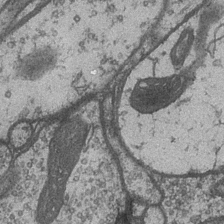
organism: Drosophila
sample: Optic medulla